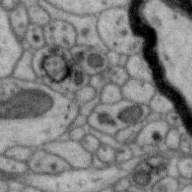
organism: Zebra finch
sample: Brain